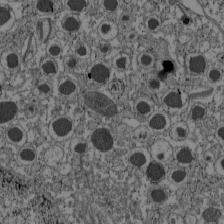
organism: C57BL Mouse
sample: Pancreatic islet